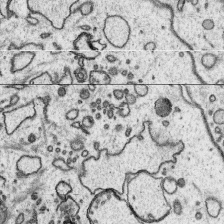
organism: Platynereis dumerilii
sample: Parapodia